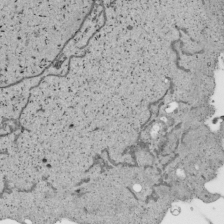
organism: Human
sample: Mitochondria in HCT116 cells